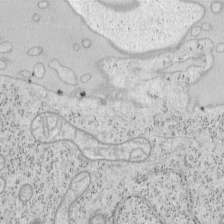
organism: Mouse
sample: OT-I killer T cells with ID8 ovarian cancer cells